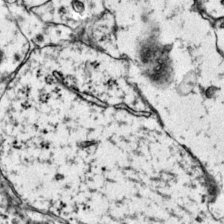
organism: Mouse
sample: Primary visual cortex